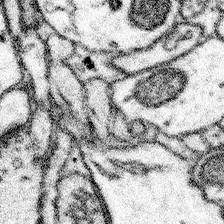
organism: Mouse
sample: Somatosensory cortex neuropil